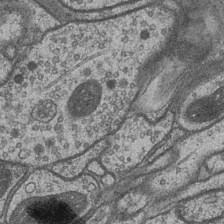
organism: Drosophila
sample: Optic medulla